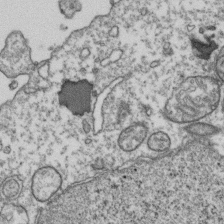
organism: Human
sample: Activated Jurkat CD4+ T cells